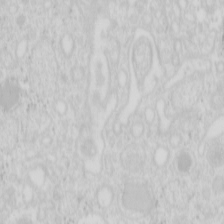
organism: Mouse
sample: Pancreas